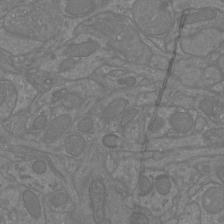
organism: Mouse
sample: Cortical neurons